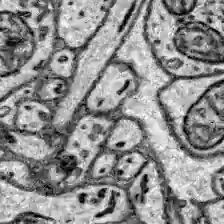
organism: Zebrafish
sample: Brain